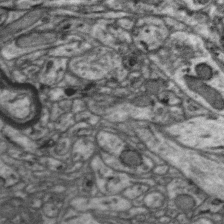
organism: Zebra finch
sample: Brain